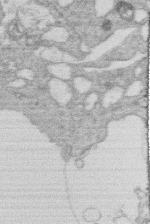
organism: Human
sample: Macrophage cells